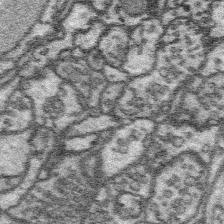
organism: Platynereis dumerilii